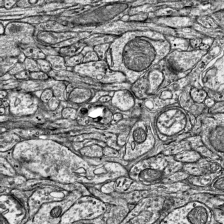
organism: Mouse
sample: Visual Cortex